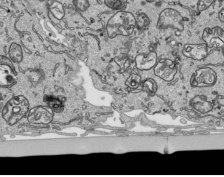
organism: Human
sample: Mitochondria in HCT116 cells